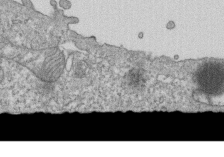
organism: Human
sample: HeLa cell HIV synapse